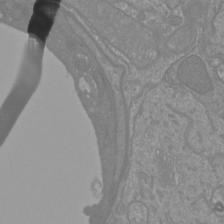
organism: Mouse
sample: Cortical neurons